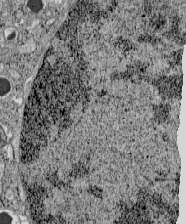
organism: C57BL Mouse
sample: Pancreatic islet